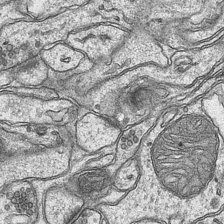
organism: Mouse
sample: CA1 Hippocampus